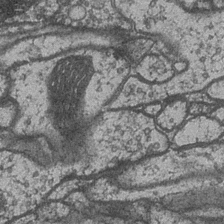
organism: Drosophila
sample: Optic medulla